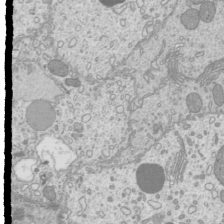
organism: Mouse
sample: Cilia; mouse epididymis